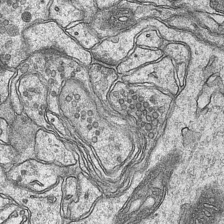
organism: Mouse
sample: CA1 Hippocampus